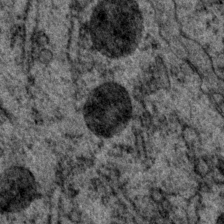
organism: P. pacificus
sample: Pharynx